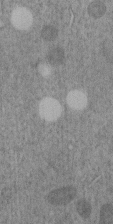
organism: C. elegans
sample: C. elegans embryo early stage